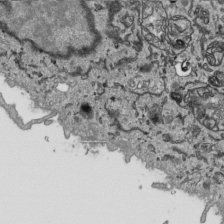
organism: Human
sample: Mitochondria in HCT116 cells